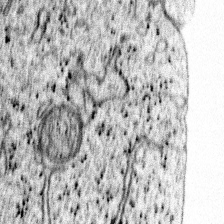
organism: Human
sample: HeLa cells